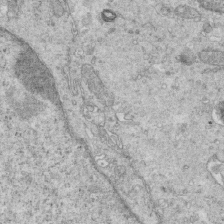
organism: Mouse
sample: Multiciliated cells